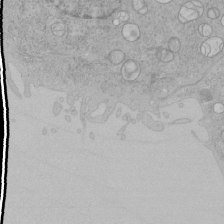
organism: Human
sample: Mitochondria in HCT116 cells